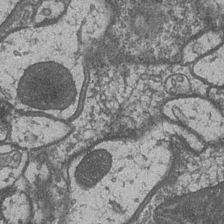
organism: Drosophila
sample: Optic medulla